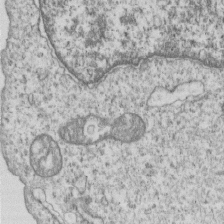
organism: Human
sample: MDA-MB-231 cells